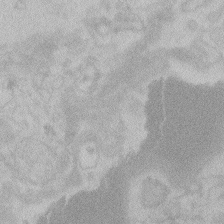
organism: Zebrafish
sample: Macrophage infected with Toxoplasma gondii